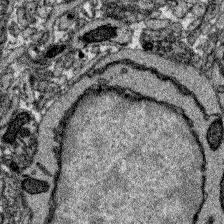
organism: Zebrafish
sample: Larval olfactory bulb